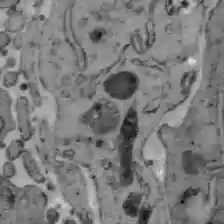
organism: C57BL Mouse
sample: Liver